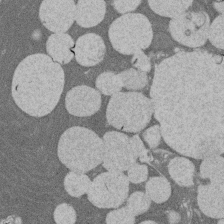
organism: Rat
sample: Salivary granule